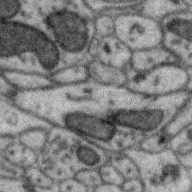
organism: Zebra finch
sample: Brain